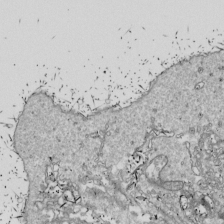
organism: Drosophila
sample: Cell division; meiosis; drosophila spermatocytes